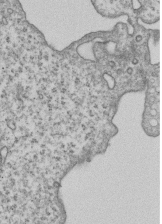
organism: Human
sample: MDA-MB-231 cells